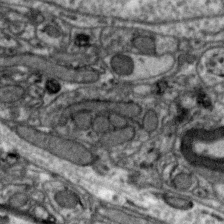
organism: Zebra finch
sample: Brain